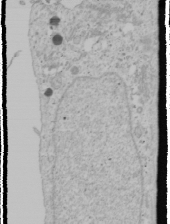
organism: Human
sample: Mitochondria in U2OS cells